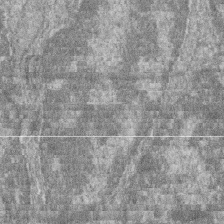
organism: Zebrafish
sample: Cilia; retinal pigment epithelium